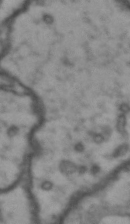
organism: Drosophila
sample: Brain